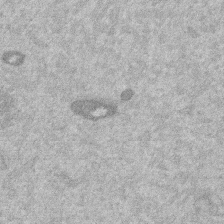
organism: Mouse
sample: Dividing mouse embryo 1 cell stage